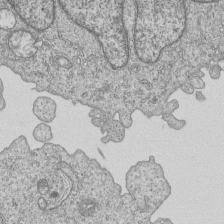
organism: Human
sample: MDA-MB-231 cells